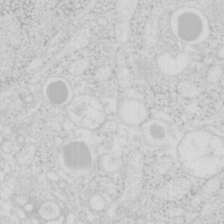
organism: Mouse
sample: Pancreas